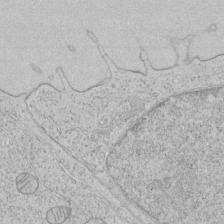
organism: Human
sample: Mitochondria in HCT116 cells